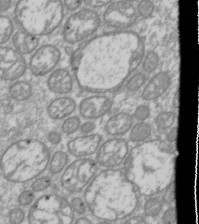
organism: Drosophila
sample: Cell division; meiosis; drosophila spermatocytes